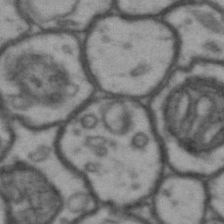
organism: Drosophila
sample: Brain